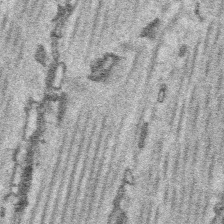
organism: Platynereis dumerilii